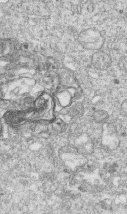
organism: Human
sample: HeLa cell HIV synapse